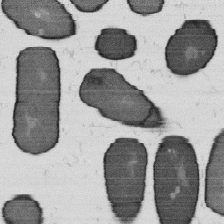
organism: B. subtilis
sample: Bacterial spore